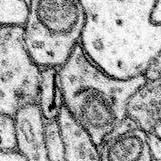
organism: Mouse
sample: Somatosensory cortex neuropil